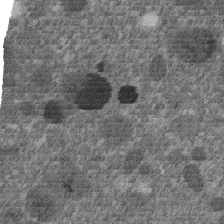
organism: C. elegans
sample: C. elegans embryo early stage